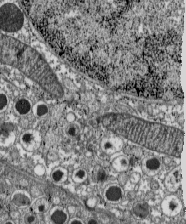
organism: C57BL Mouse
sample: Pancreatic islet